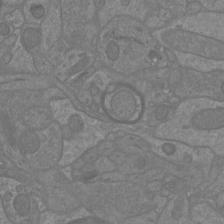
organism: Mouse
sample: Cortical neurons